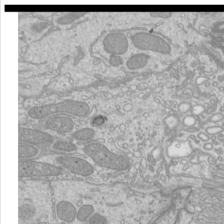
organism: Mouse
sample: Cilia; mouse epididymis